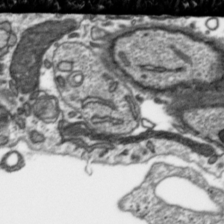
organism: Toxoplasma gondii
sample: Parasites in a vacuole inside a host cell